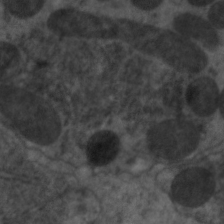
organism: C. elegans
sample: Pharynx